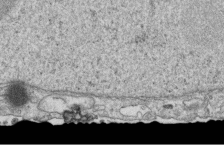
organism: Human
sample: HeLa cell HIV synapse